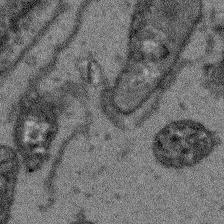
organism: Arabidopsis thaliana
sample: Root tip